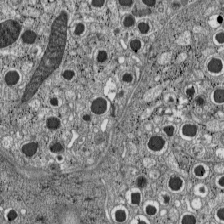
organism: C57BL Mouse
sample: Pancreatic islet